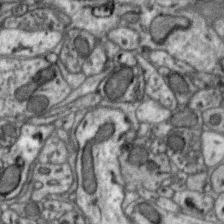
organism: Zebra finch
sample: Brain